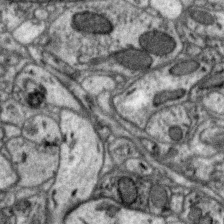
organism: Zebra finch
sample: Brain